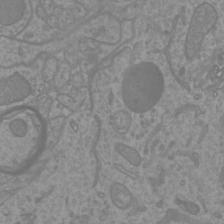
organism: Mouse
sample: Cortical neurons